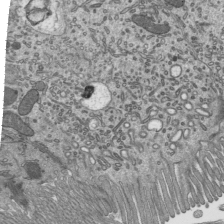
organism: Mouse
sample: Mouse epididymis efferent ductule cilia